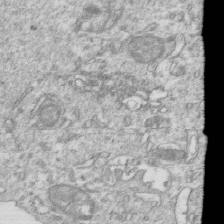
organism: Mouse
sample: Activated OT-1 CD8+ T cells